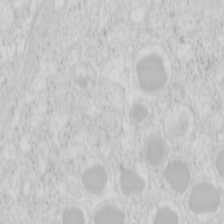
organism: Mouse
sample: Pancreas